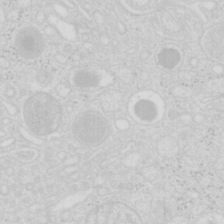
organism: Mouse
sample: Pancreas